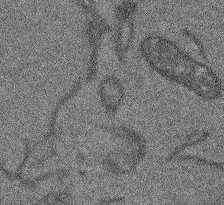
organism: Arabidopsis thaliana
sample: Root tip